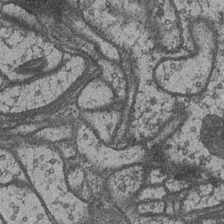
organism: Drosophila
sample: Optic medulla